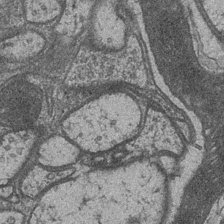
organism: Drosophila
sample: Optic medulla